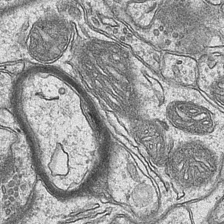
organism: Mouse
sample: CA1 Hippocampus